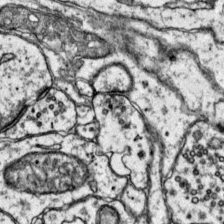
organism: Mouse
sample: Primary visual cortex